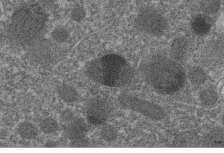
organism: C. elegans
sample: C. elegans embryo early stage